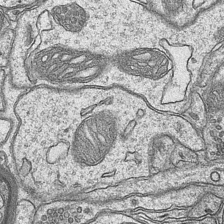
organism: Mouse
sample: CA1 Hippocampus